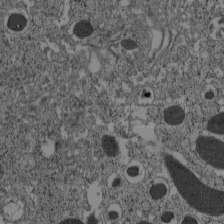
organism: C57BL Mouse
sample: Pancreatic islet